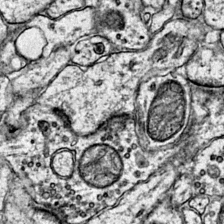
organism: Mouse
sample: Primary visual cortex